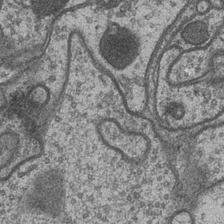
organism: Drosophila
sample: Optic medulla